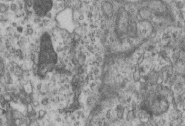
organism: Mouse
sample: Centriole in ependymal cells